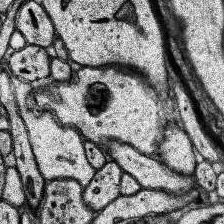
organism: Human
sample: Temporal Lobe